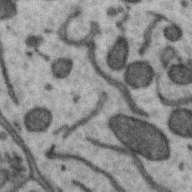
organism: Zebra finch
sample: Brain